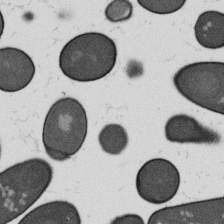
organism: B. subtilis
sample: Bacterial spore